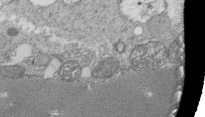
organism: Tetrahymena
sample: Cilia in tetrahymena